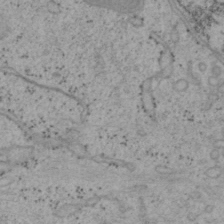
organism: Human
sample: HeLa cells